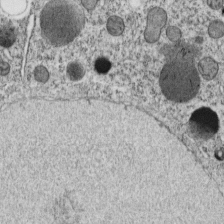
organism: C. elegans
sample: C. elegans embryo early stage